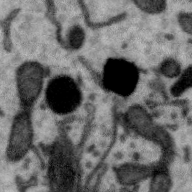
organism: Zebra finch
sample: Brain